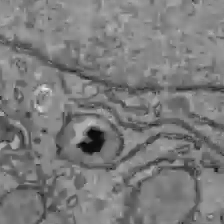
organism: C57BL Mouse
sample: Liver